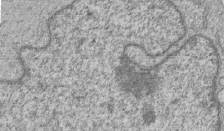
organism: Human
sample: MDA-MB-231 cells